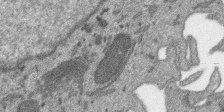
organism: Human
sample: Lung epithelial cells infected with SARS-CoV-2